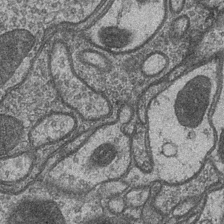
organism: Drosophila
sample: Optic medulla